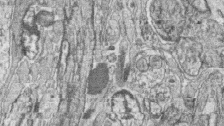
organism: Zebrafish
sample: synaptic ribbons in rod cells and cone cells